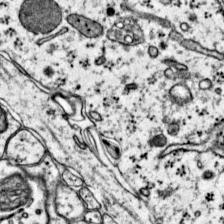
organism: Mouse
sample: Primary visual cortex